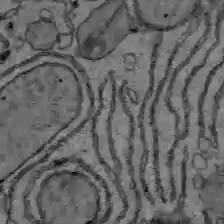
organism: C57BL Mouse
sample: Liver